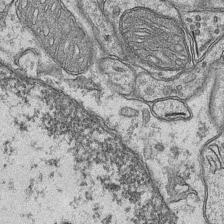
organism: Mouse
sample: CA1 Hippocampus